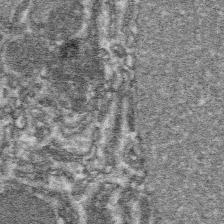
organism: Platynereis dumerilii